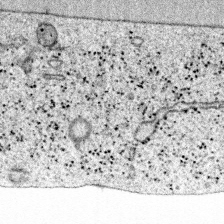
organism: Human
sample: HeLa cells